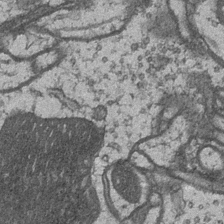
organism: Drosophila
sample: Optic medulla